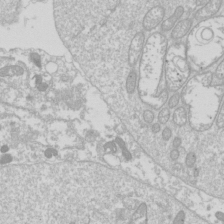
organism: Drosophila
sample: Cell division; meiosis; drosophila spermatocytes